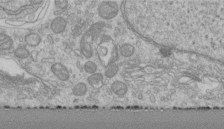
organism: Human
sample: Centriole in RPE cells